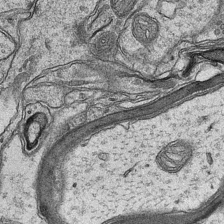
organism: Mouse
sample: CA1 Hippocampus